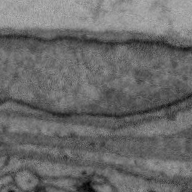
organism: Zebra finch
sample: Brain